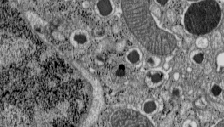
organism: C57BL Mouse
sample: Pancreatic islet